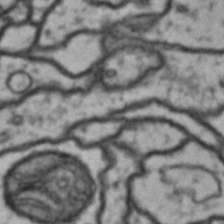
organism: Drosophila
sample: Brain